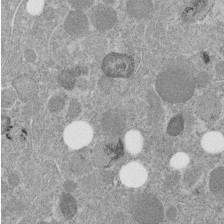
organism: C. elegans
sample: C. elegans embryo early stage